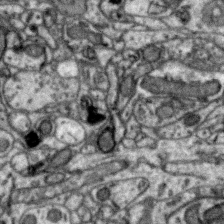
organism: Zebra finch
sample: Brain